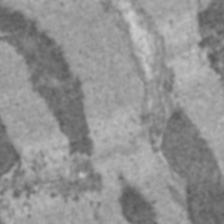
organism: C57BL Mouse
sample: Heart